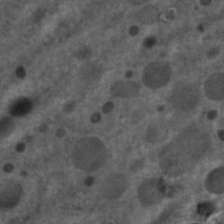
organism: C. elegans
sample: C. elegans embryo